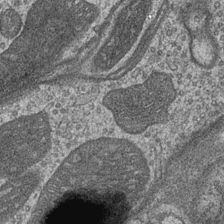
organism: Drosophila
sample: Optic medulla